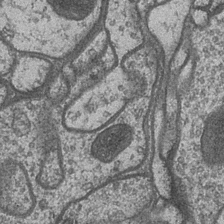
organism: Drosophila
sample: Optic medulla